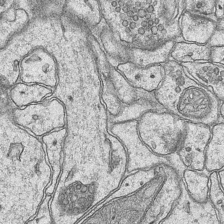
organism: Mouse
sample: CA1 Hippocampus